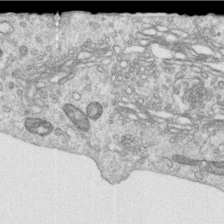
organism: Human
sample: Centriole in RPE cells